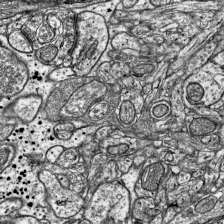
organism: Mouse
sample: Visual Cortex